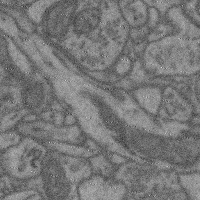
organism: Mouse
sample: Cerebral cortex